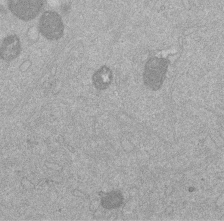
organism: Mouse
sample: Dividing mouse embryo 1 cell stage